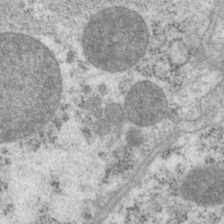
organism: P. pacificus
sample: Pharynx